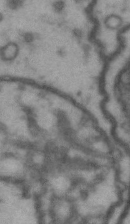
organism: Drosophila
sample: Brain